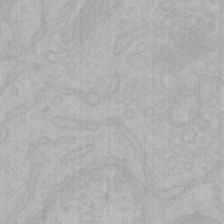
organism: Mouse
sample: Choroid plexus